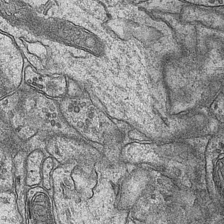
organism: Mouse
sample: CA1 Hippocampus